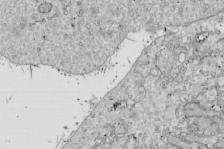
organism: Drosophila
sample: Cell division; meiosis; drosophila spermatocytes